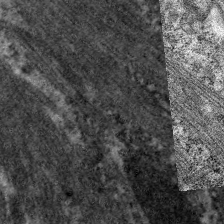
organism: C. elegans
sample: Pharynx